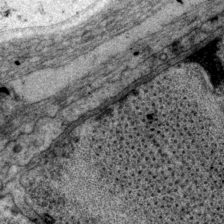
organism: P. pacificus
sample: Pharynx